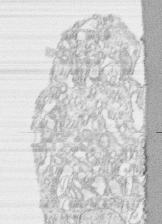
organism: Human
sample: CRL-1474